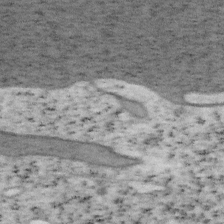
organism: Mouse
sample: OT-I killer T cells with ID8 ovarian cancer cells